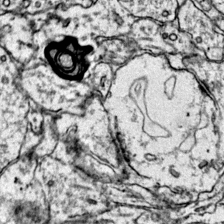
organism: Mouse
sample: Primary visual cortex